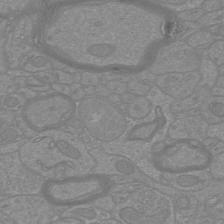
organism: Mouse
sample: Cortical neurons